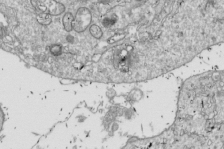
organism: Drosophila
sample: Cell division; meiosis; drosophila spermatocytes